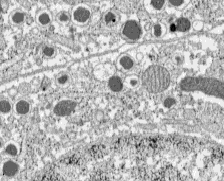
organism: C57BL Mouse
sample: Pancreatic islet